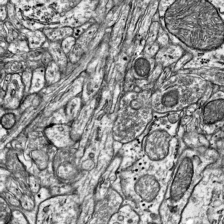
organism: Mouse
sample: Visual Cortex